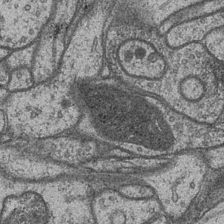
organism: Drosophila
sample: Optic medulla